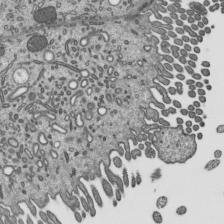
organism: Mouse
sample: Mouse epididymis efferent ductule cilia